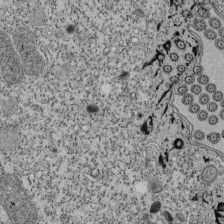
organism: Tetrahymena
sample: Cilia in tetrahymena